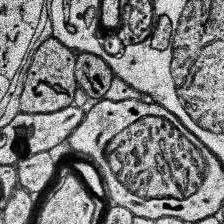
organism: Human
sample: Temporal Lobe